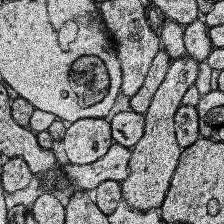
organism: Human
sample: Temporal Lobe